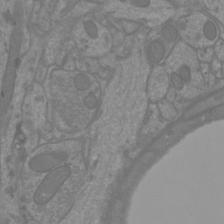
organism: Mouse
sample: Cortical neurons